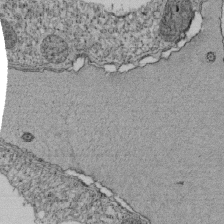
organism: Tetrahymena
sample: Cilia in tetrahymena